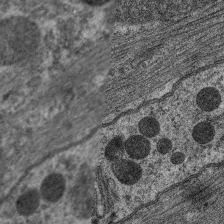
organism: C. elegans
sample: Pharynx